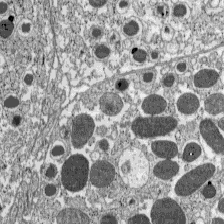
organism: C57BL Mouse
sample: Pancreatic islet